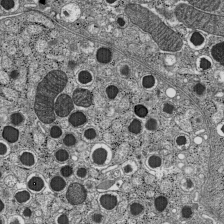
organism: C57BL Mouse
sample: Pancreatic islet